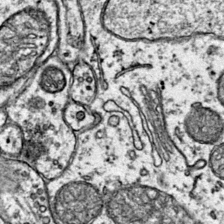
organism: Mouse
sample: Primary visual cortex